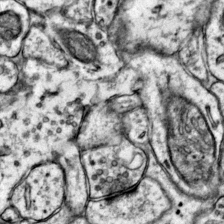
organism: Mouse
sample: Primary visual cortex